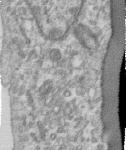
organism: Human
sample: Centriole in RPE cells